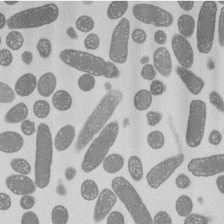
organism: E. coli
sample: Bacterial nucleoid